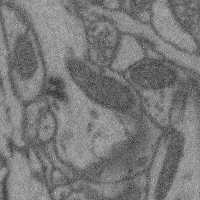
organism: Mouse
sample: Cerebral cortex